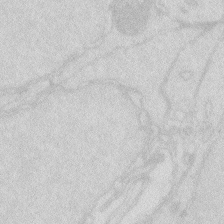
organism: Zebrafish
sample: Macrophage